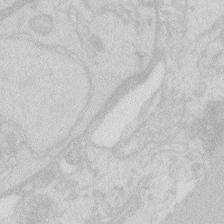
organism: Zebrafish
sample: Macrophage